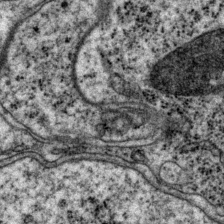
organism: P. pacificus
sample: Pharynx